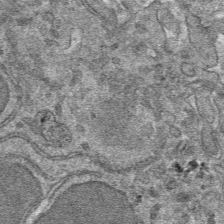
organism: Mouse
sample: Mouse hepatocytes